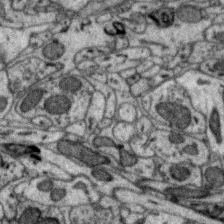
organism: Zebra finch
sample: Brain